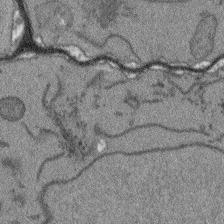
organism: Arabidopsis thaliana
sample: Root tip